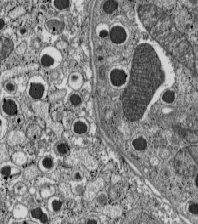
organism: C57BL Mouse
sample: Pancreatic islet